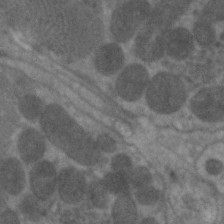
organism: C. elegans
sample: Pharynx